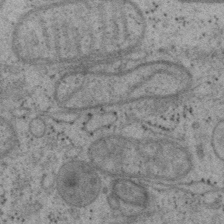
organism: Human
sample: HeLa cells